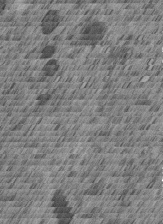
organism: C. elegans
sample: C. elegans embryo early stage